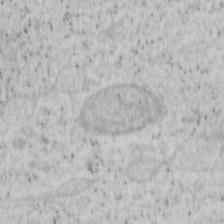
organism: Human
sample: HeLa cells